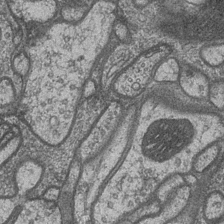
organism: Drosophila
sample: Optic medulla